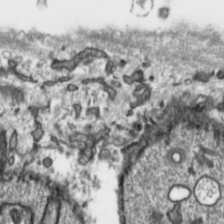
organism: Toxoplasma gondii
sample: Parasites in a vacuole inside a host cell